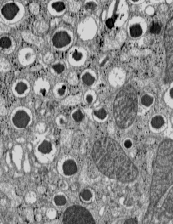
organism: C57BL Mouse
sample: Pancreatic islet